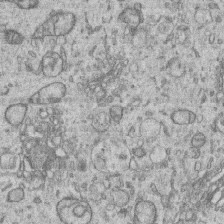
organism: Human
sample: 1205lu cells